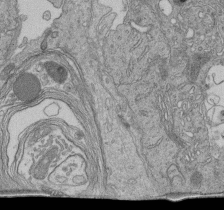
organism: Human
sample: Retinal organoid Rod and Cone cells